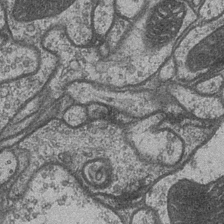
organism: Drosophila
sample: Optic medulla